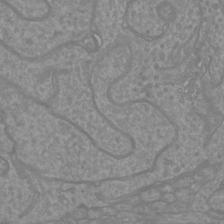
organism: Mouse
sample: Cortical neurons